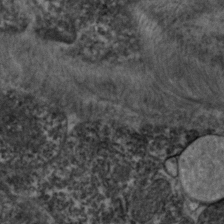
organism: Zebrafish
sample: Zebrafish embryo